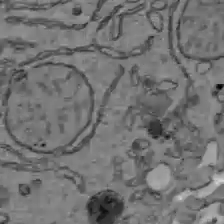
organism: C57BL Mouse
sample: Liver